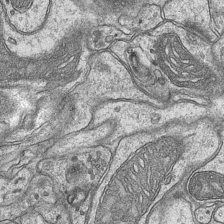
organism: Mouse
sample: CA1 Hippocampus